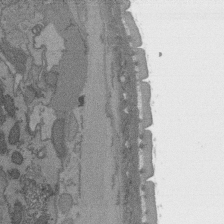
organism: C. elegans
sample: AFD neurons C. elegans